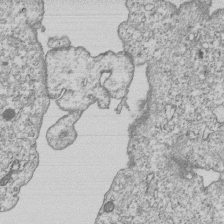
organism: Human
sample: MDA-MB-231 cells